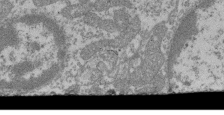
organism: Mouse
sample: Glomerulus